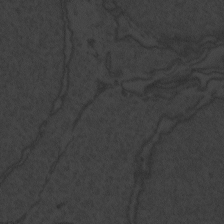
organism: Zebrafish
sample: Macrophage infected with Toxoplasma gondii